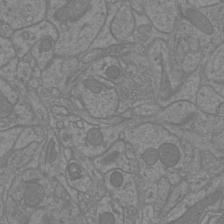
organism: Mouse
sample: Cortical neurons